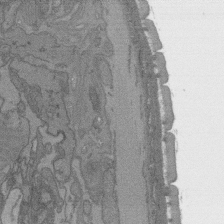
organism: C. elegans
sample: AFD neurons C. elegans